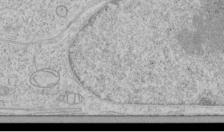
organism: Human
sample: Mitochondria in HCT116 cells